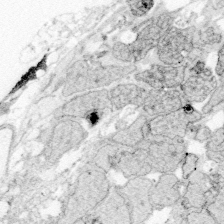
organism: Zebrafish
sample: Whole-Brain